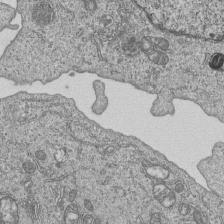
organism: Human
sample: MDA-MB-231 cells